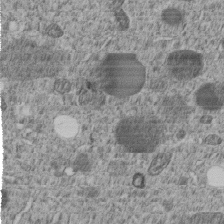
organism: C. elegans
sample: C. elegans embryo early stage